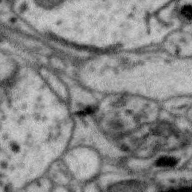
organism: Zebra finch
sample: Brain